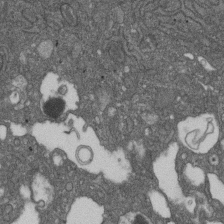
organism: Drosophila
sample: Nephrocyte